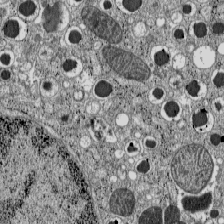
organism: C57BL Mouse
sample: Pancreatic islet